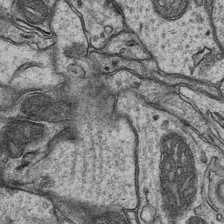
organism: Mouse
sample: CA1 Hippocampus